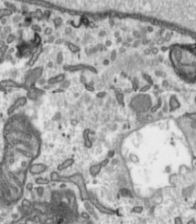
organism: Toxoplasma gondii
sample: Parasites in a vacuole inside a host cell